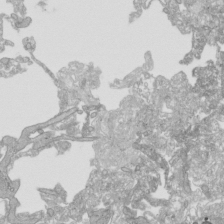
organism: Human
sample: Mitochondria in HCT116 cells